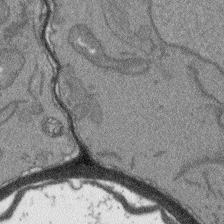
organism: Arabidopsis thaliana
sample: Root tip